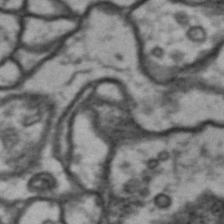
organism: Drosophila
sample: Brain